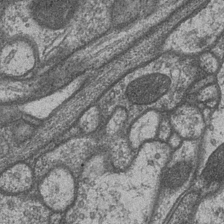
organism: Drosophila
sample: Optic medulla